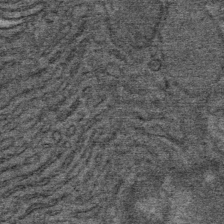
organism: Mouse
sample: Mouse Salivary gland